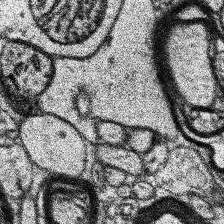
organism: Human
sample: Temporal Lobe